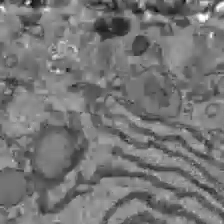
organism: C57BL Mouse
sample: Liver